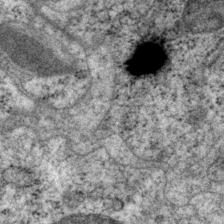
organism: P. pacificus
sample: Pharynx